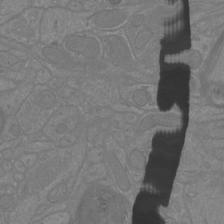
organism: Mouse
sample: Cortical neurons